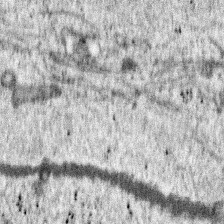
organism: Human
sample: HeLa cells